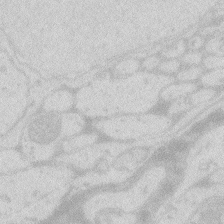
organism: Zebrafish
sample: Macrophage